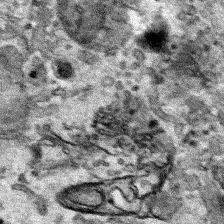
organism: Human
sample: Mitochondria in HCT116 cells